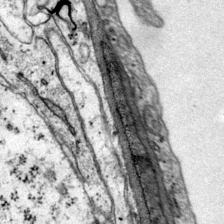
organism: Mouse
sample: Primary visual cortex